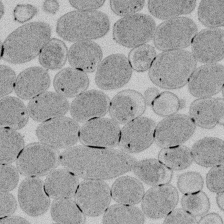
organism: E. coli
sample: Bacterial nucleoid